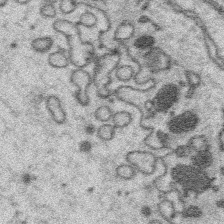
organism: Platynereis dumerilii